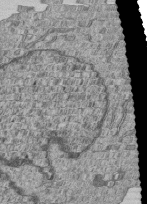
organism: Human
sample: MDA-MB-231 cells